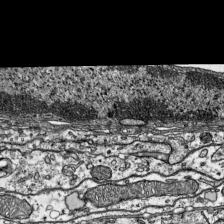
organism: Mouse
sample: Visual Cortex